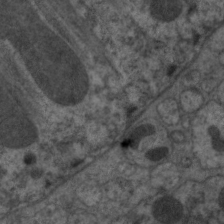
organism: C. elegans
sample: Pharynx